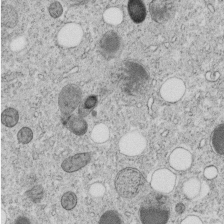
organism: C. elegans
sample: C. elegans embryo early stage